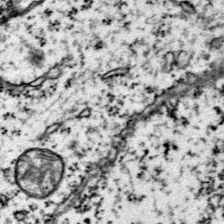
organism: Mouse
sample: Primary visual cortex